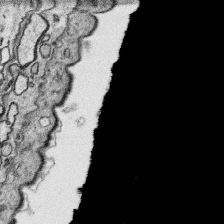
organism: Platynereis dumerilii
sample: Parapodia